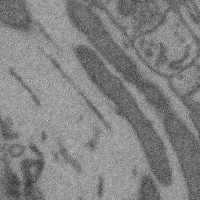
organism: Mouse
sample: Cerebral cortex